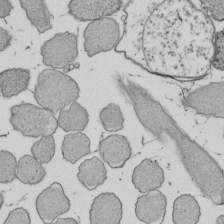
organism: E. coli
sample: Bacterial nucleoid